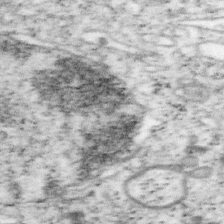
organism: Mouse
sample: OT-I killer T cells with ID8 ovarian cancer cells